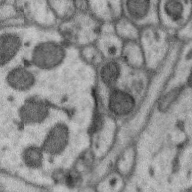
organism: Zebra finch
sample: Brain